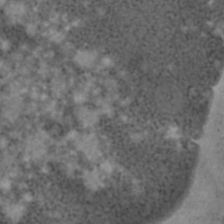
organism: C. elegans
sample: C. elegans embryo